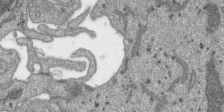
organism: Human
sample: Lung epithelial cells infected with SARS-CoV-2